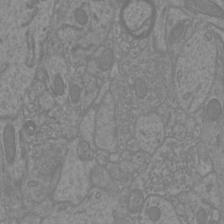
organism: Mouse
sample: Cortical neurons